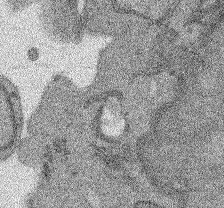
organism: Human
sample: HeLa cells